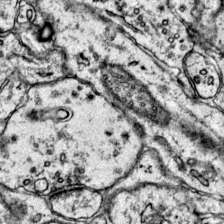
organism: Mouse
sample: Primary visual cortex